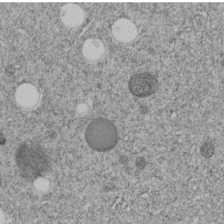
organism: C. elegans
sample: C. elegans embryo early stage